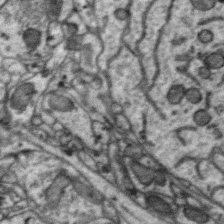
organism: Zebra finch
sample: Brain